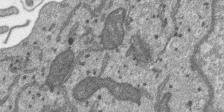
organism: Human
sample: Lung epithelial cells infected with SARS-CoV-2